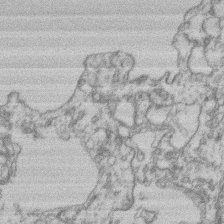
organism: Mouse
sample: T cell stromal cell synapse